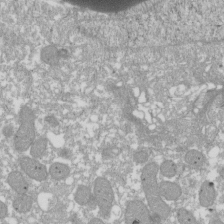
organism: Xenopus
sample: Cilia; centrioles in frog embryo cells